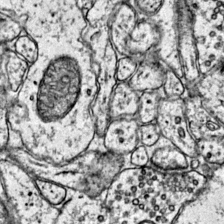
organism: Mouse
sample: Primary visual cortex